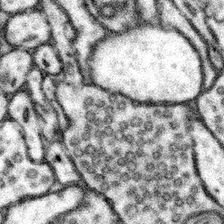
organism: Mouse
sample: Somatosensory cortex neuropil